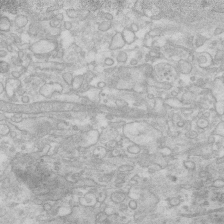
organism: Human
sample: Fibroblast cells